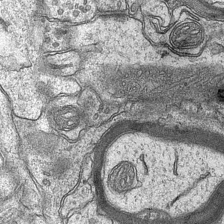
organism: Mouse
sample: CA1 Hippocampus